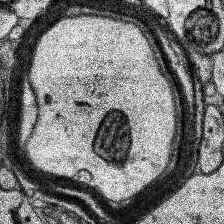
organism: Human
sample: Temporal Lobe